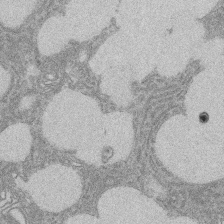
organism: Rat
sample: Salivary granule